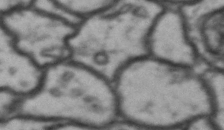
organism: Drosophila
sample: Brain